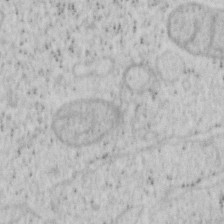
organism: Human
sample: HeLa cells